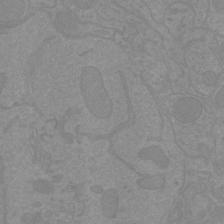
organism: Mouse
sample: Cortical neurons